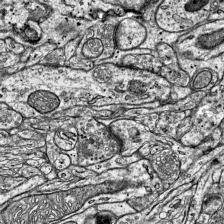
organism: Mouse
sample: Visual Cortex